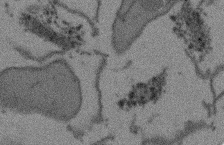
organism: Arabidopsis thaliana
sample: Root tip